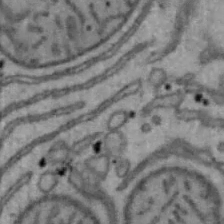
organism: Mouse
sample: Liver